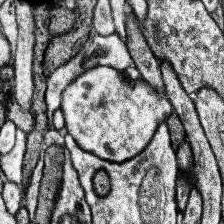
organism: Human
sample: Temporal Lobe